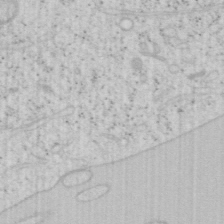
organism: Human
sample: HeLa cells